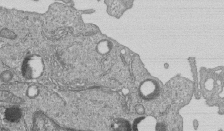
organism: Human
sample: MDA-MB-231 cells